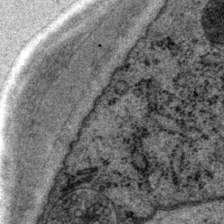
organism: P. pacificus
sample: Pharynx